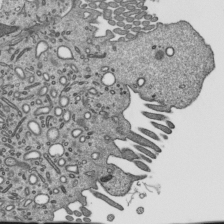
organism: Mouse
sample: Mouse epididymis efferent ductule cilia